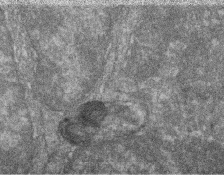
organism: Zebrafish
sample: Cilia; retinal pigment epithelium